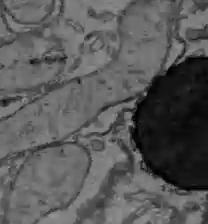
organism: C57BL Mouse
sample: Liver